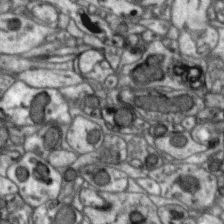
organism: Zebra finch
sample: Brain